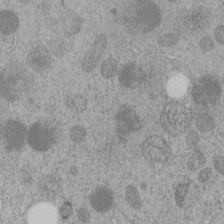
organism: C. elegans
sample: C. elegans embryo early stage